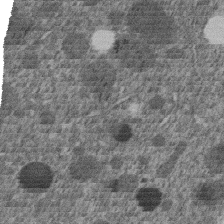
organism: C. elegans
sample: C. elegans embryo early stage